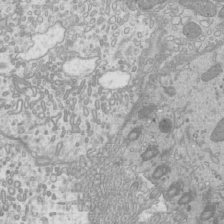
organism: Mouse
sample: Cilia; mouse epididymis